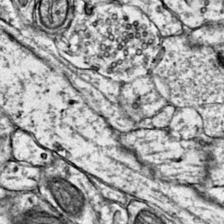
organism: Mouse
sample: Primary visual cortex